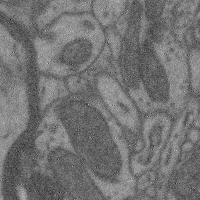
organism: Mouse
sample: Cerebral cortex